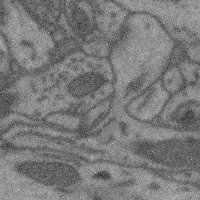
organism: Mouse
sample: Cerebral cortex